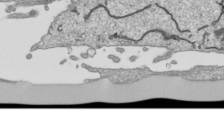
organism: Human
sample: Mitochondria in HCT116 cells